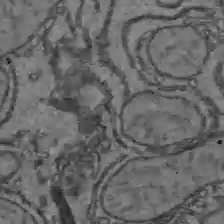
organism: C57BL Mouse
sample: Liver